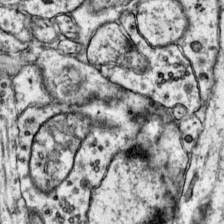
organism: Mouse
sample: Primary visual cortex